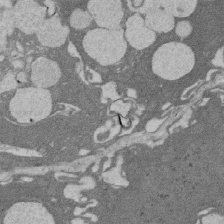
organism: Rat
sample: Salivary granule